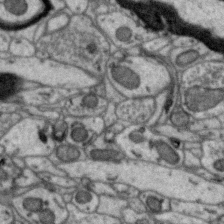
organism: Zebra finch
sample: Brain